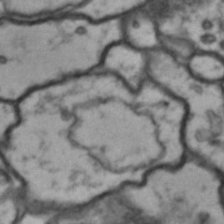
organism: Drosophila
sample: Brain